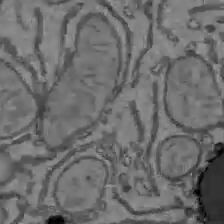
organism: C57BL Mouse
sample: Liver